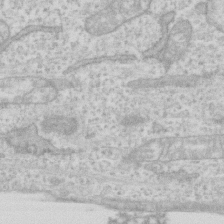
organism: Human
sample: Fibroblast cells